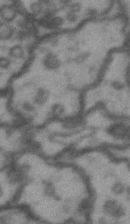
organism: Drosophila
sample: Brain